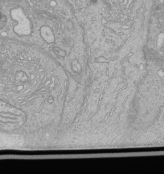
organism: Human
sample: Retinal organoid Rod and Cone cells